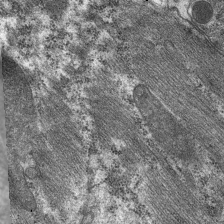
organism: C. elegans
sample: Pharynx